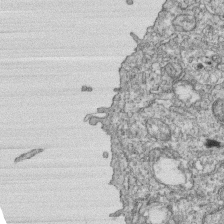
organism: Human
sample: HeLa cell HIV synapse